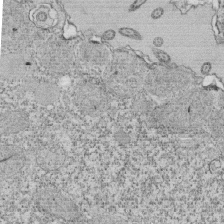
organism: Tetrahymena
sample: Cilia in tetrahymena